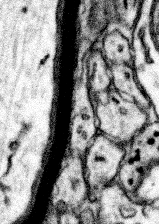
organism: Mouse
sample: Somatosensory cortex neuropil